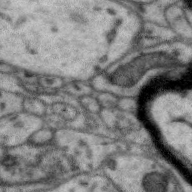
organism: Zebra finch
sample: Brain